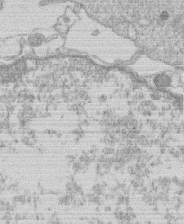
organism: Human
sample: Macrophage cells